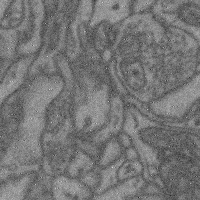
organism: Mouse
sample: Cerebral cortex